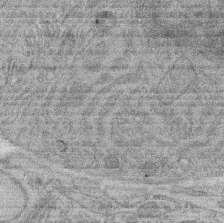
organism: Rat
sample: Salivary granule